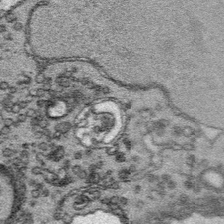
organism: Platynereis dumerilii